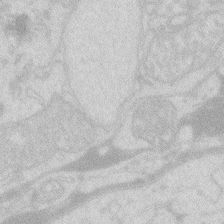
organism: Zebrafish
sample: Macrophage